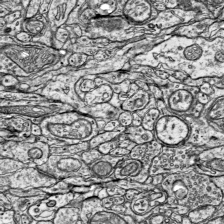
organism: Mouse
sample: Visual Cortex